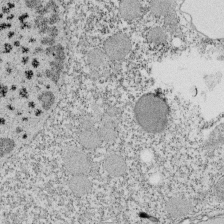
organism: Tetrahymena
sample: Cilia in tetrahymena